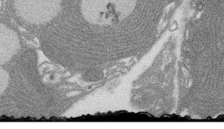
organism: Rat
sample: Salivary granule